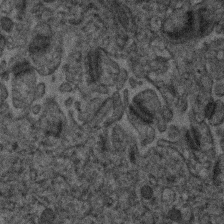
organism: Human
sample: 1205lu cells